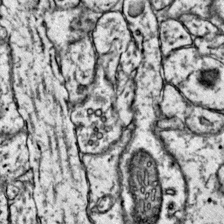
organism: Mouse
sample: Primary visual cortex